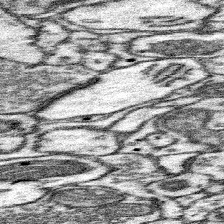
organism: Mouse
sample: Somatosensory cortex neuropil